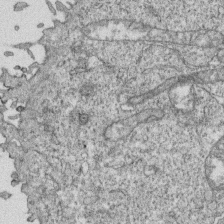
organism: Human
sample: HeLa cell HIV synapse